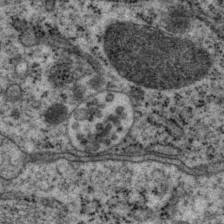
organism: P. pacificus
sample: Pharynx